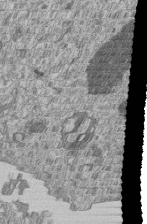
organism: Human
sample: MDA-MB-231 cells